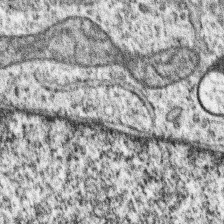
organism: Human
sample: HeLa cells